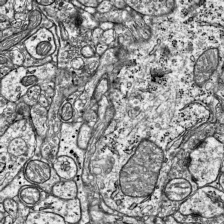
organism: Mouse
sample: Visual Cortex